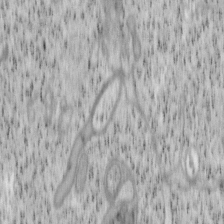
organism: Human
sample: HeLa cells